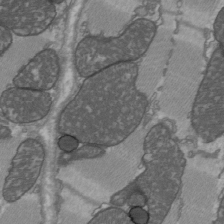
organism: C57BL Mouse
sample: Heart